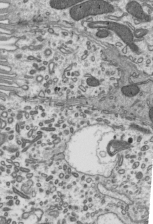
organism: Mouse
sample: Mouse epididymis efferent ductule cilia